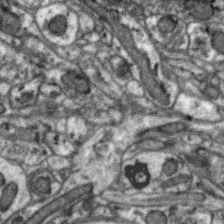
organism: Zebra finch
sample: Brain